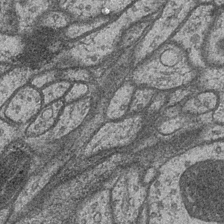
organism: Drosophila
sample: Optic medulla